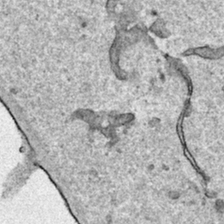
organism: Human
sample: Mitochondria in HCT116 cells